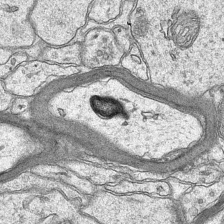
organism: Mouse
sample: CA1 Hippocampus